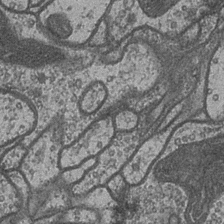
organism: Drosophila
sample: Optic medulla